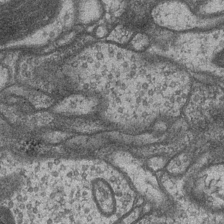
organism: Drosophila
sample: Optic medulla